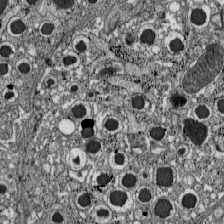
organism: C57BL Mouse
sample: Pancreatic islet